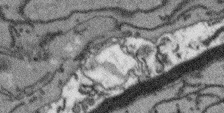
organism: Arabidopsis thaliana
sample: Root tip